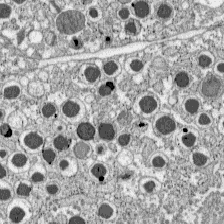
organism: C57BL Mouse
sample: Pancreatic islet